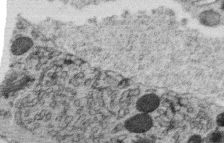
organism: C. elegans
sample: C. elegans oocyte; sperm cells